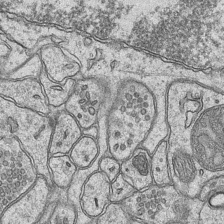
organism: Mouse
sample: CA1 Hippocampus